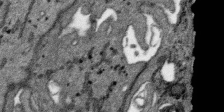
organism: Human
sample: Lung epithelial cells, uninfected (mock) control